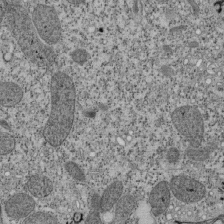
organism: Tetrahymena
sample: Cilia in tetrahymena